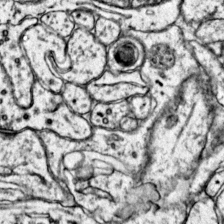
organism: Mouse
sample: Primary visual cortex